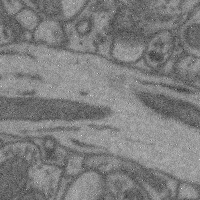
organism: Mouse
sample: Cerebral cortex